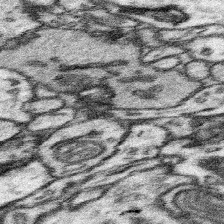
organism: Mouse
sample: Somatosensory cortex neuropil